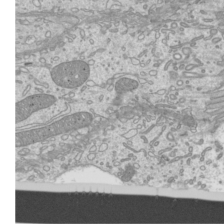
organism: Mouse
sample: Cilia; mouse epididymis